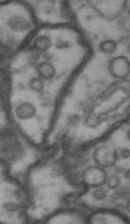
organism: Drosophila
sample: Brain